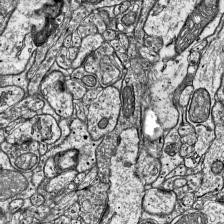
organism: Mouse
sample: Visual Cortex